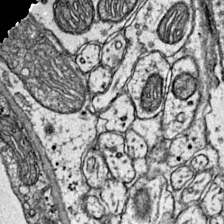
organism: Mouse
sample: Primary visual cortex